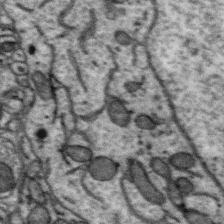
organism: Zebra finch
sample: Brain